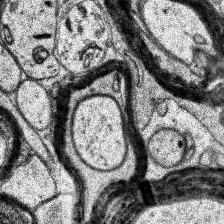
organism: Human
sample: Temporal Lobe